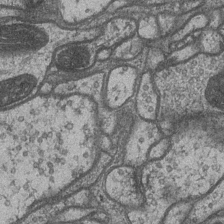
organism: Drosophila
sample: Optic medulla